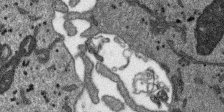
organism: Human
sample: Lung epithelial cells infected with SARS-CoV-2